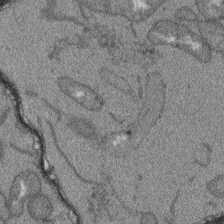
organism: Arabidopsis thaliana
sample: Root tip